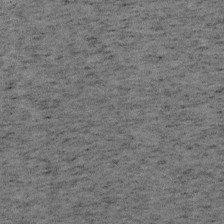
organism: Mouse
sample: OT-I killer T cells with ID8 ovarian cancer cells